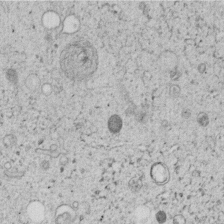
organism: C. elegans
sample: C. elegans embryo early stage